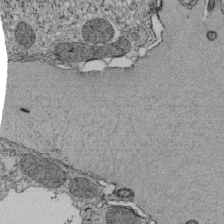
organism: Tetrahymena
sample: Cilia in tetrahymena